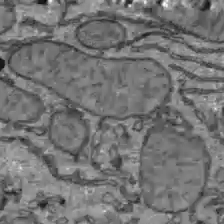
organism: C57BL Mouse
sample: Liver